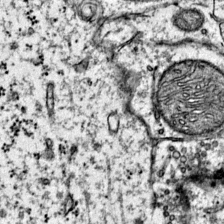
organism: Mouse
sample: Primary visual cortex